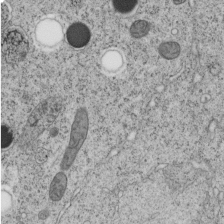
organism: C. elegans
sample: C. elegans embryo early stage